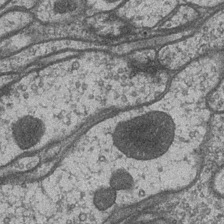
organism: Drosophila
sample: Optic medulla